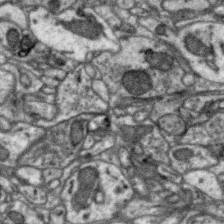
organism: Zebra finch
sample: Brain